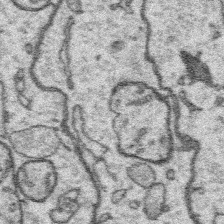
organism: Platynereis dumerilii